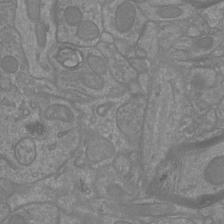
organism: Mouse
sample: Cortical neurons